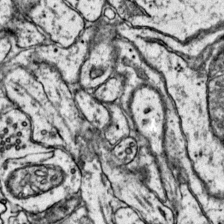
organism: Mouse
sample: Primary visual cortex